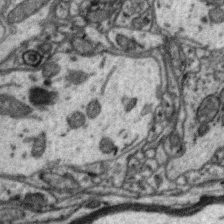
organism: Zebra finch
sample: Brain